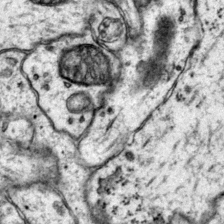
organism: Mouse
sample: Primary visual cortex